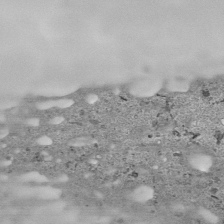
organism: Human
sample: Mitochondria in HCT116 cells